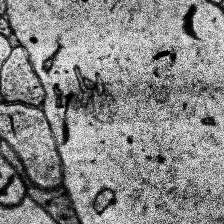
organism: Human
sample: Temporal Lobe